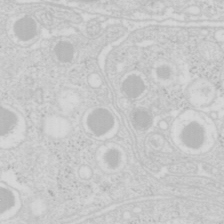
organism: Mouse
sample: Pancreas